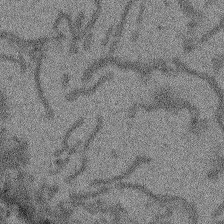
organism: Arabidopsis thaliana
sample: Root tip